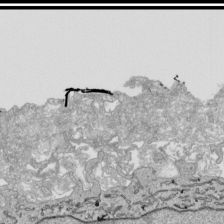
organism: Human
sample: Mitochondria in HCT116 cells